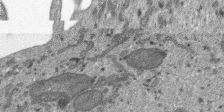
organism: Human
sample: Lung epithelial cells infected with SARS-CoV-2